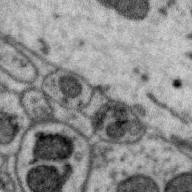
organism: Zebra finch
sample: Brain